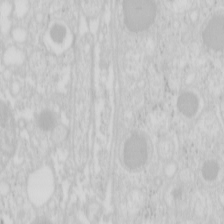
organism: Mouse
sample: Pancreas